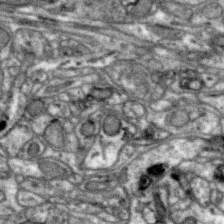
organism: Zebra finch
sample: Brain